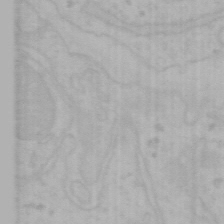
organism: Mouse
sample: Choroid plexus